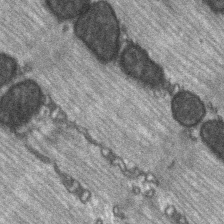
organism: C57BL Mouse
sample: Soleus